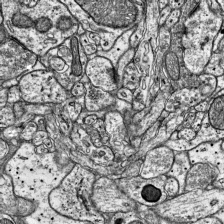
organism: Mouse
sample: Visual Cortex